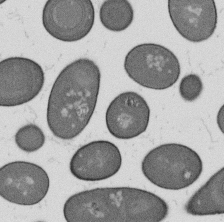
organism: B. subtilis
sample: Bacterial spore